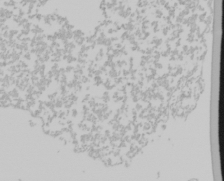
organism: Mouse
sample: Cancer cell death in ED-1 cells